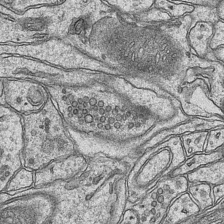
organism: Mouse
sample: CA1 Hippocampus